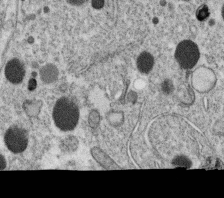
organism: C. elegans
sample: C. elegans oocyte; sperm cells